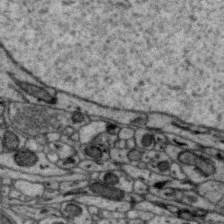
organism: Zebra finch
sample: Brain